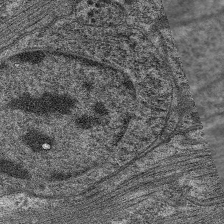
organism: C. elegans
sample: Pharynx